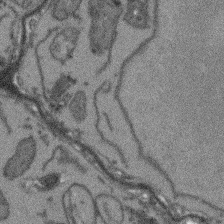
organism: Arabidopsis thaliana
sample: Root tip